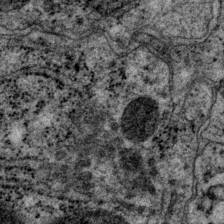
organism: P. pacificus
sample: Pharynx